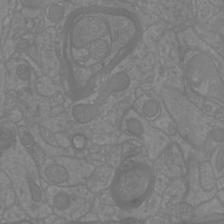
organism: Mouse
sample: Cortical neurons